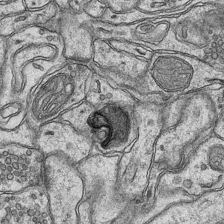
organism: Mouse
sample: CA1 Hippocampus